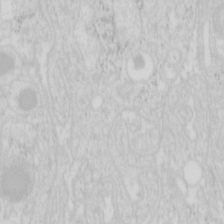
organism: Mouse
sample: Pancreas